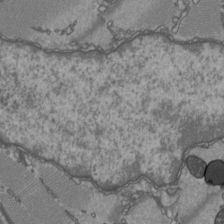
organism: C57BL Mouse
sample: Heart